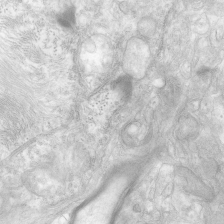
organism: Human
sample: Neocortex